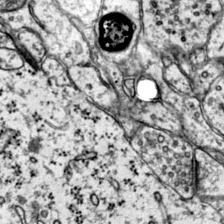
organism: Mouse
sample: Primary visual cortex